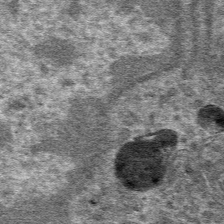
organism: Mouse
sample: Mouse hepatocytes